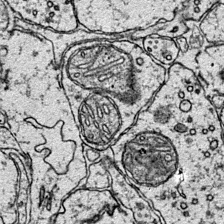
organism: Mouse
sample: Primary visual cortex